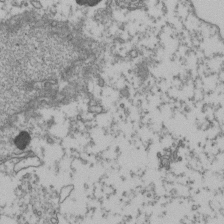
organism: Human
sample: Activated Jurkat CD4+ T cells